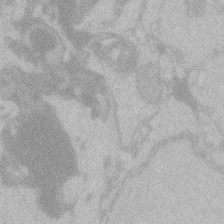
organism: Zebrafish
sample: Macrophage infected with Toxoplasma gondii